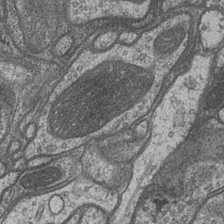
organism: Drosophila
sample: Optic medulla